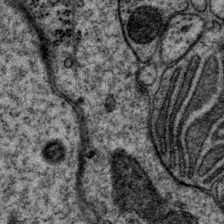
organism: P. pacificus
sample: Pharynx